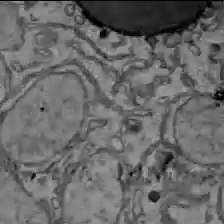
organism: C57BL Mouse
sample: Liver